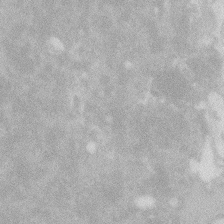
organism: Zebrafish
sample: Macrophage